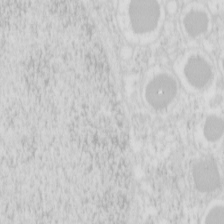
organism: Mouse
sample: Pancreas